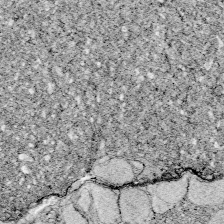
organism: Zebrafish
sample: Whole-Brain